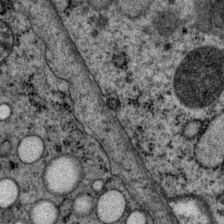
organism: P. pacificus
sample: Pharynx